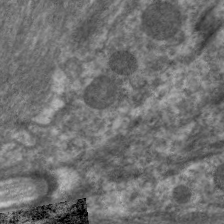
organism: C. elegans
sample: Pharynx